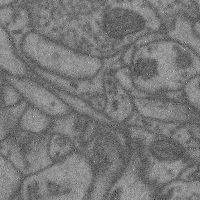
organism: Mouse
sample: Cerebral cortex